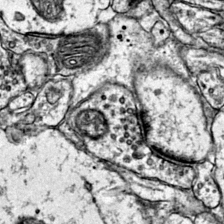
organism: Mouse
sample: Primary visual cortex